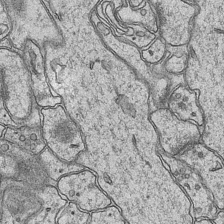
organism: Mouse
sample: CA1 Hippocampus